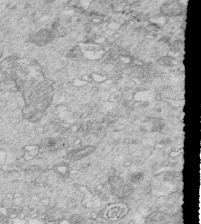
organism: Mouse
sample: Multiciliated cells